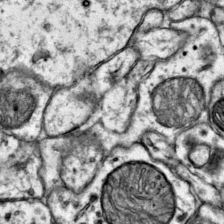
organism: Mouse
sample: Primary visual cortex